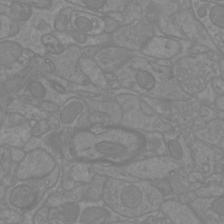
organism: Mouse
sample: Cortical neurons